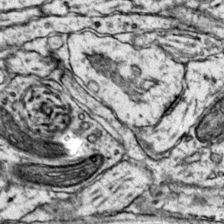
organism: Mouse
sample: Primary visual cortex